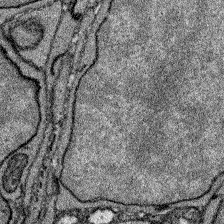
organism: Zebrafish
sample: Larval olfactory bulb